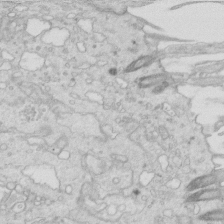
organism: Mouse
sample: Multiciliated cells